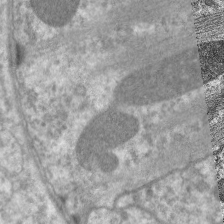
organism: C. elegans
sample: Pharynx